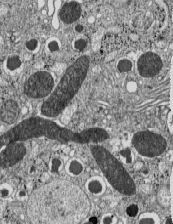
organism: C57BL Mouse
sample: Pancreatic islet